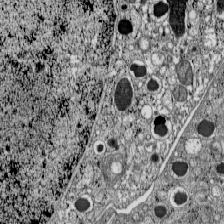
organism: C57BL Mouse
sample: Pancreatic islet